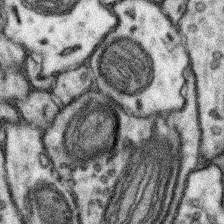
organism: Mouse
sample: Somatosensory cortex neuropil